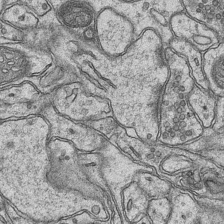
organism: Mouse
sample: CA1 Hippocampus